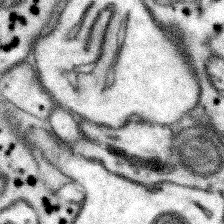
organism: Mouse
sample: Somatosensory cortex neuropil